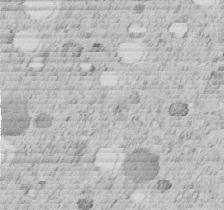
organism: C. elegans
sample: C. elegans embryo early stage